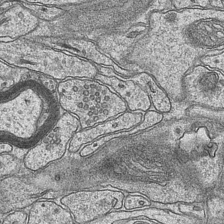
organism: Mouse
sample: CA1 Hippocampus